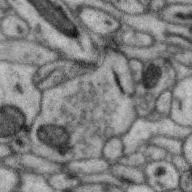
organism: Zebra finch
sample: Brain